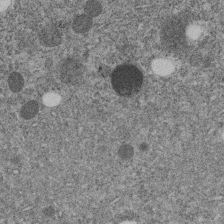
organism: C. elegans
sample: C. elegans embryo early stage